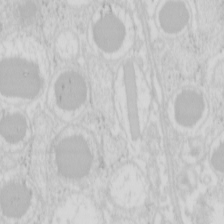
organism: Mouse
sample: Pancreas